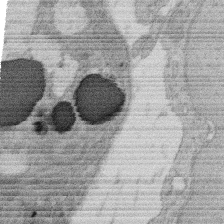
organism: Rat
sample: Salivary granule